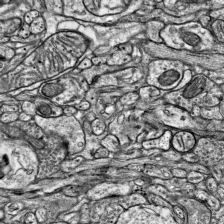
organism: Mouse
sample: Visual Cortex